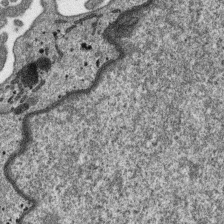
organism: Human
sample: Lung epithelial cells infected with SARS-CoV-2